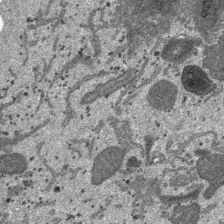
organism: Human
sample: Lung epithelial cells infected with SARS-CoV-2